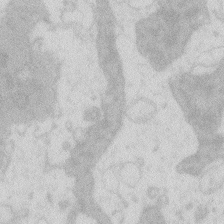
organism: Zebrafish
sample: Macrophage